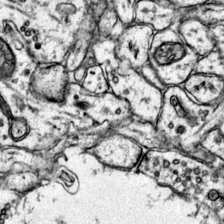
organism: Mouse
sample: Primary visual cortex